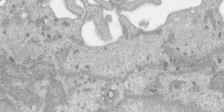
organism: Human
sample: Lung epithelial cells infected with SARS-CoV-2